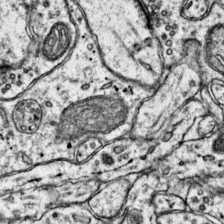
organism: Mouse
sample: Primary visual cortex